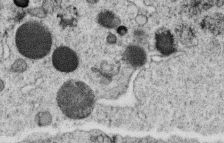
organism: C. elegans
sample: C. elegans oocyte; sperm cells